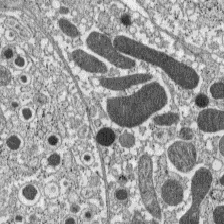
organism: C57BL Mouse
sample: Pancreatic islet